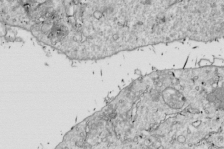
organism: Drosophila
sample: Cell division; meiosis; drosophila spermatocytes